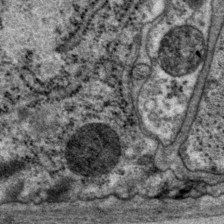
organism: P. pacificus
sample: Pharynx